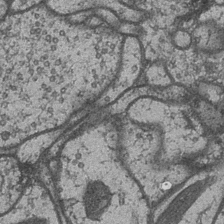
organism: Drosophila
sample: Optic medulla